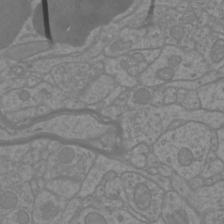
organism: Mouse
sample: Cortical neurons